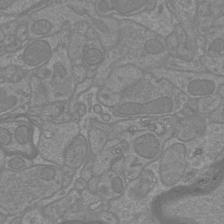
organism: Mouse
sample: Cortical neurons